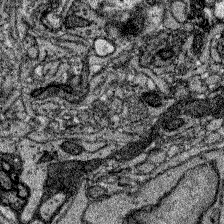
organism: Zebrafish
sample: Larval olfactory bulb